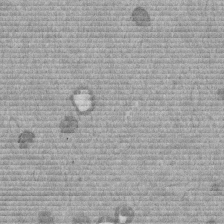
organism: Mouse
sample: Dividing mouse embryo 1 cell stage